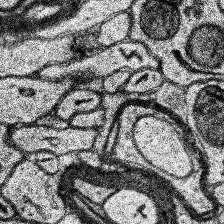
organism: Human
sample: Temporal Lobe